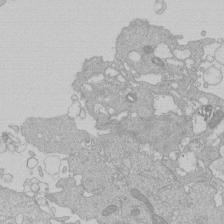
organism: Human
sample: Macrophage cells